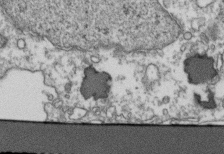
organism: Human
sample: Activated Jurkat CD4+ T cells